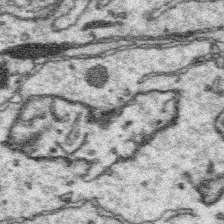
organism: Platynereis dumerilii